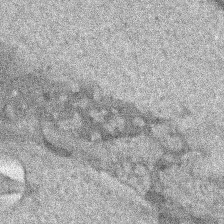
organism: Human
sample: Mitochondria in HCT116 cells